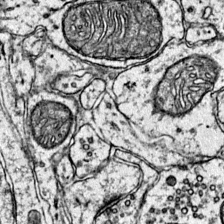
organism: Mouse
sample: Primary visual cortex